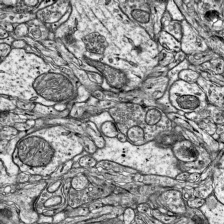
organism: Mouse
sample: Visual Cortex